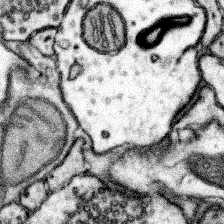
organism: Mouse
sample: Somatosensory cortex neuropil